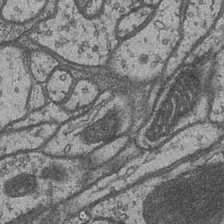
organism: Drosophila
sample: Optic medulla